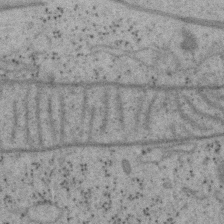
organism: Human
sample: HeLa cells